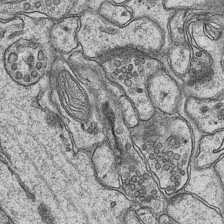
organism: Mouse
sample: CA1 Hippocampus